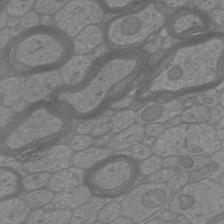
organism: Mouse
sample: Cortical neurons